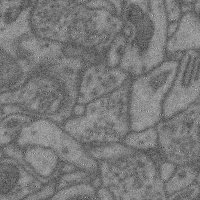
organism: Mouse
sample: Cerebral cortex